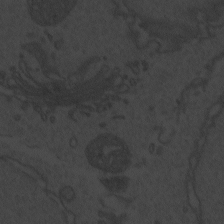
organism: Zebrafish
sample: Macrophage infected with Toxoplasma gondii